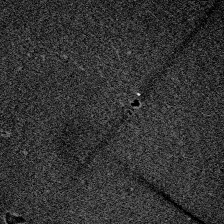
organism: Zebrafish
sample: Whole-Brain